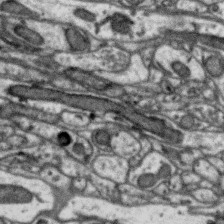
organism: Zebra finch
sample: Brain